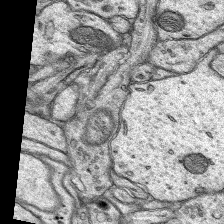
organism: Rat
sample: Hippocampus